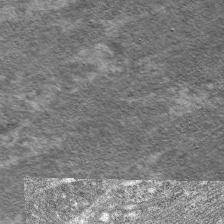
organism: C. elegans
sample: Pharynx